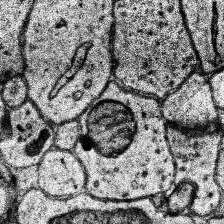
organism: Human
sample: Temporal Lobe